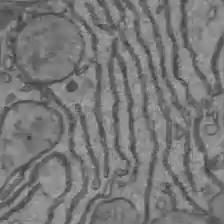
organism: C57BL Mouse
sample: Liver